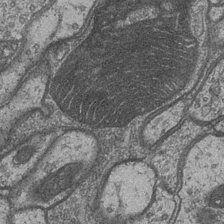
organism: Drosophila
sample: Optic medulla